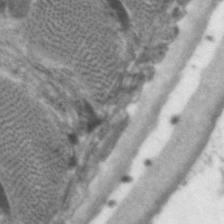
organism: C. elegans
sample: Pharynx